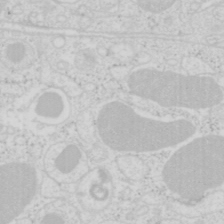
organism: Mouse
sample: Pancreas